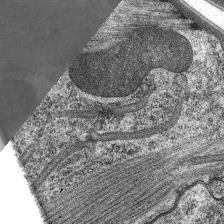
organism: C. elegans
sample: Pharynx